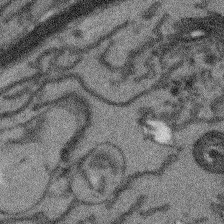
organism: Arabidopsis thaliana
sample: Root tip